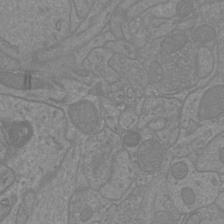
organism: Mouse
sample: Cortical neurons